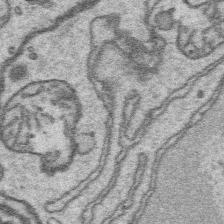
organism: Platynereis dumerilii